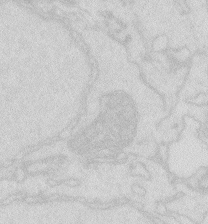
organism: Zebrafish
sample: Macrophage